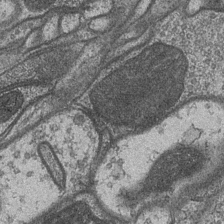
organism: Drosophila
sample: Optic medulla